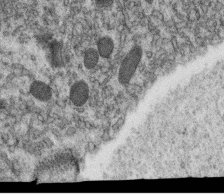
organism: C. elegans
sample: C. elegans oocyte; sperm cells